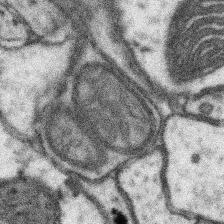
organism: Mouse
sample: Somatosensory cortex neuropil